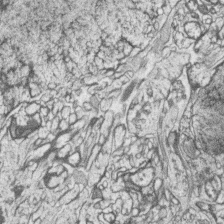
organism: Zebrafish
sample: synaptic ribbons in rod cells and cone cells